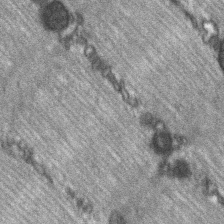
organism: C57BL Mouse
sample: Soleus